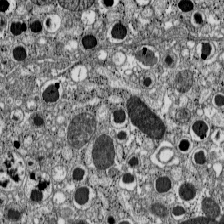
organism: C57BL Mouse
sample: Pancreatic islet